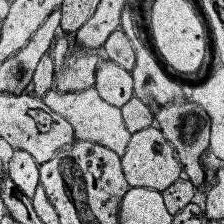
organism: Human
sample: Temporal Lobe